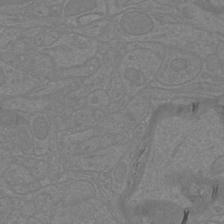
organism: Mouse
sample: Cortical neurons